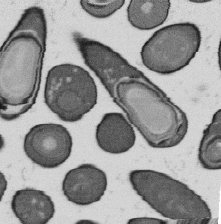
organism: B. subtilis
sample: Bacterial spore